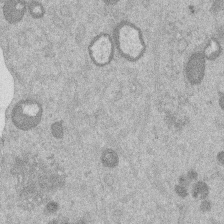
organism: Mouse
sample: Dividing mouse embryo 1 cell stage